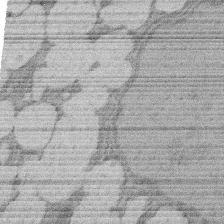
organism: Rat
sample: Salivary granule